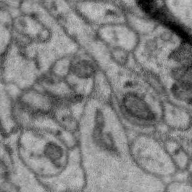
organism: Zebra finch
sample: Brain